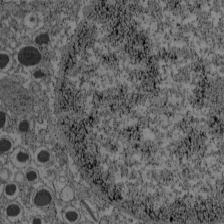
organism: C57BL Mouse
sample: Pancreatic islet